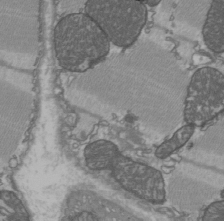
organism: C57BL Mouse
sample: Heart